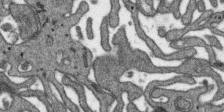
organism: Human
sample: Lung epithelial cells, uninfected (mock) control